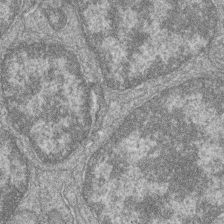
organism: Zebrafish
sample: Cilia; retinal pigment epithelium